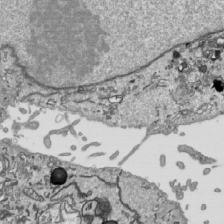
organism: Human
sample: Mitochondria in HCT116 cells